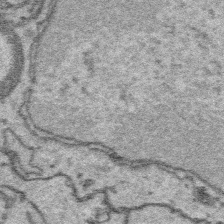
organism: Platynereis dumerilii